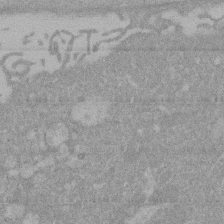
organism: Mouse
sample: ED-1 cell nuclei; centrioles